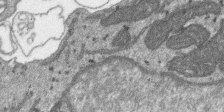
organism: Human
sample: Lung epithelial cells infected with SARS-CoV-2